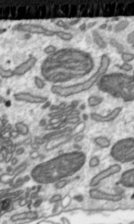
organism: Toxoplasma gondii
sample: Parasites in a vacuole inside a host cell